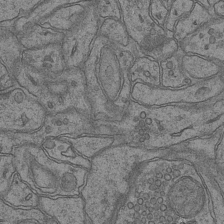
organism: Mouse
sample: CA1 Hippocampus